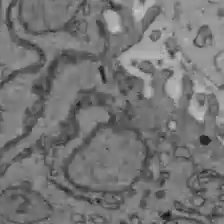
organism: C57BL Mouse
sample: Liver